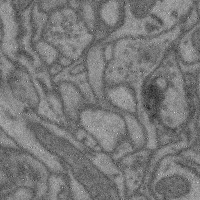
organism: Mouse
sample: Cerebral cortex